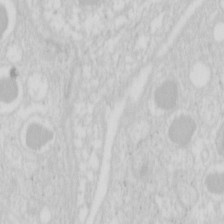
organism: Mouse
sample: Pancreas